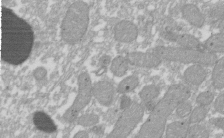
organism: Xenopus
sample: Cilia; centrioles in frog embryo cells